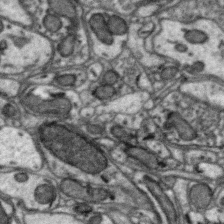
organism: Zebra finch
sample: Brain